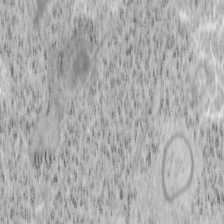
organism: Human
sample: HeLa cells